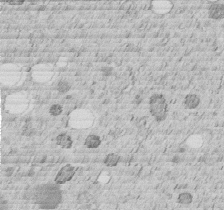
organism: C. elegans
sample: C. elegans embryo early stage